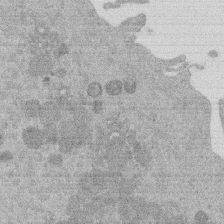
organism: Mouse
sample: Dividing mouse embryo 1 cell stage